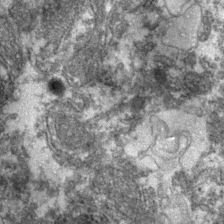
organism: Zebrafish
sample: Zebrafish embryo